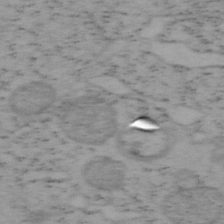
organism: Mouse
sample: OT-I killer T cells with ID8 ovarian cancer cells